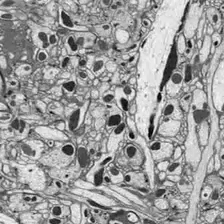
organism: Drosophila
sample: Optic lobe